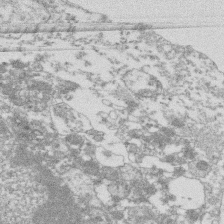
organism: Human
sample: HeLa cell HIV synapse